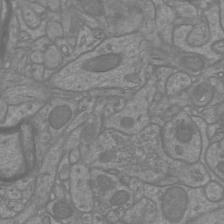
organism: Mouse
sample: Cortical neurons